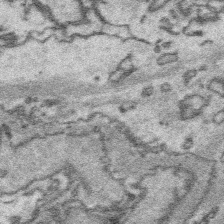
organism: Platynereis dumerilii